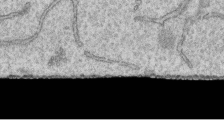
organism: Human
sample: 1205lu cells